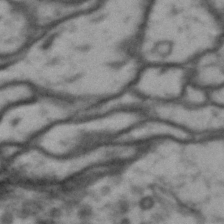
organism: Drosophila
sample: Brain